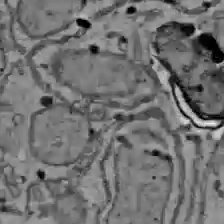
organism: C57BL Mouse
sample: Liver